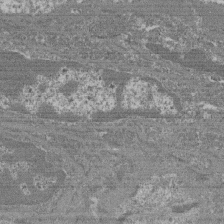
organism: Mouse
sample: Glomerulus